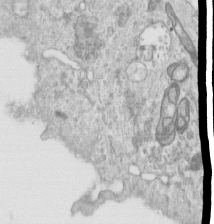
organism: Human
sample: Centriole in RPE cells